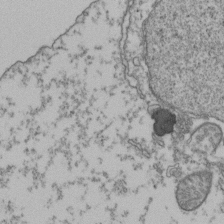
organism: Human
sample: Activated Jurkat CD4+ T cells